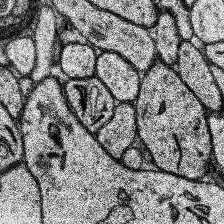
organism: Human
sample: Temporal Lobe